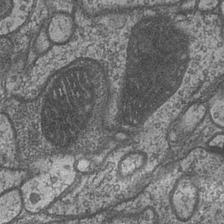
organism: Drosophila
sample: Optic medulla